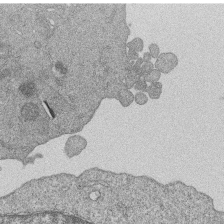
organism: Human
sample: MDA-MB-231 cells